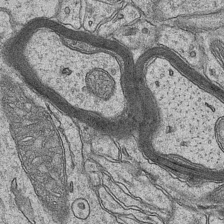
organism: Mouse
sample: CA1 Hippocampus